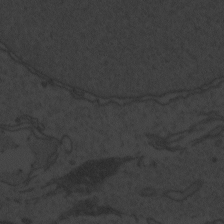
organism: Zebrafish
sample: Macrophage infected with Toxoplasma gondii